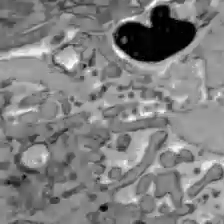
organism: C57BL Mouse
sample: Liver